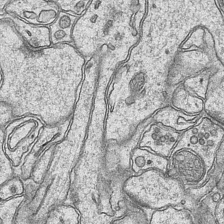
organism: Mouse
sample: CA1 Hippocampus